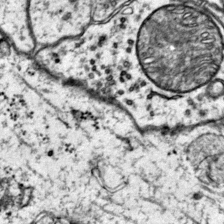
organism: Mouse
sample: Primary visual cortex